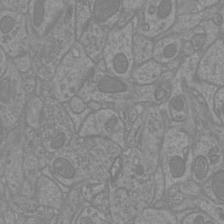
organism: Mouse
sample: Cortical neurons